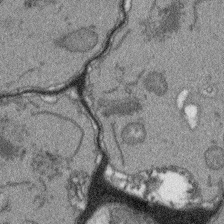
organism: Arabidopsis thaliana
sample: Root tip